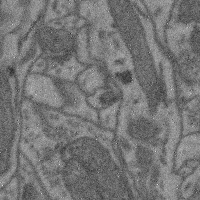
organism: Mouse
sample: Cerebral cortex